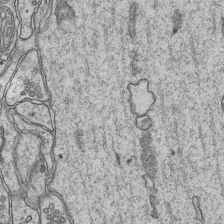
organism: Mouse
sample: CA1 Hippocampus